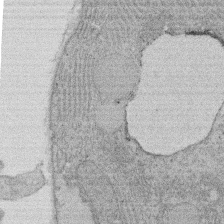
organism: Rat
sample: Salivary granule